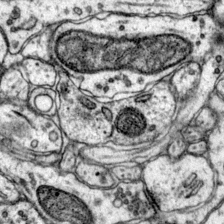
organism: Mouse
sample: Primary visual cortex